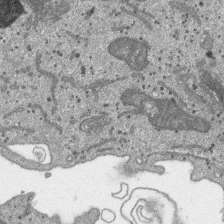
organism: Human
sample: Lung epithelial cells infected with SARS-CoV-2